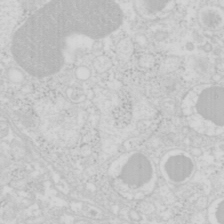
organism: Mouse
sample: Pancreas